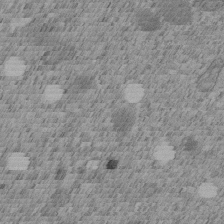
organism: C. elegans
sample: C. elegans embryo early stage